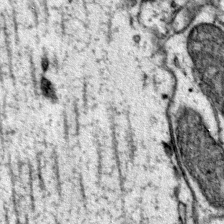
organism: Mouse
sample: Primary visual cortex